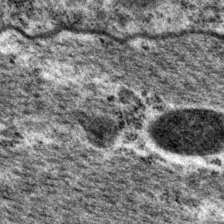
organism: P. pacificus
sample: Pharynx